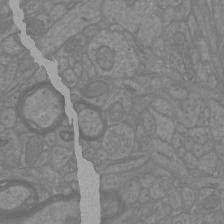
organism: Mouse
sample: Cortical neurons